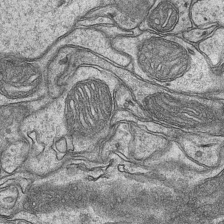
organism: Mouse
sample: CA1 Hippocampus